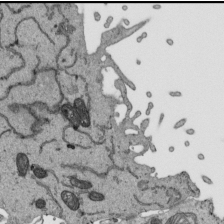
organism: Human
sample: Mitochondria in HCT116 cells